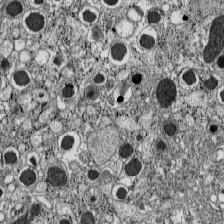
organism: C57BL Mouse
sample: Pancreatic islet